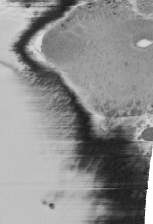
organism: Mouse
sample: Mouse epididymis efferent ductule cilia